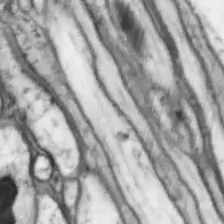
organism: Drosophila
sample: Optic lobe